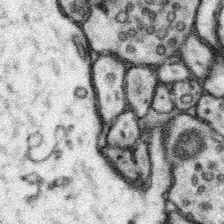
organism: Mouse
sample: Somatosensory cortex neuropil